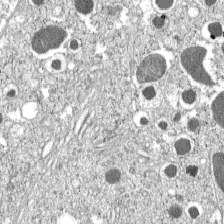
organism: C57BL Mouse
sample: Pancreatic islet